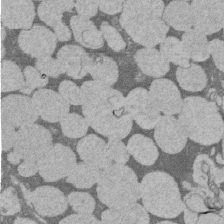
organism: Rat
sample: Salivary granule